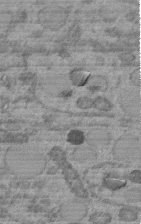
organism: C. elegans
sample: C. elegans embryo early stage